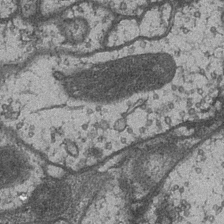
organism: Drosophila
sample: Optic medulla